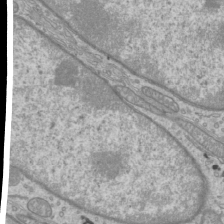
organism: Mouse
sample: Cilia; mouse epididymis